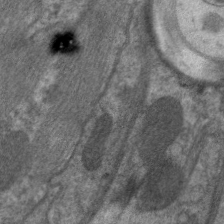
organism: C. elegans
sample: Pharynx